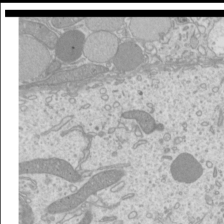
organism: Mouse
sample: Cilia; mouse epididymis